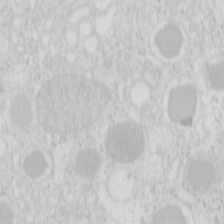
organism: Mouse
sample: Pancreas